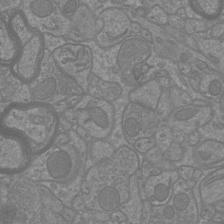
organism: Mouse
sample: Cortical neurons